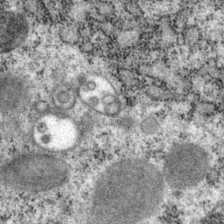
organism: P. pacificus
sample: Pharynx